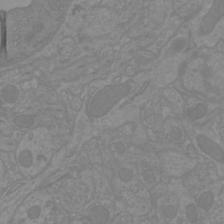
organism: Mouse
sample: Cortical neurons